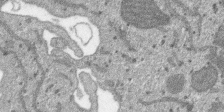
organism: Human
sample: Lung epithelial cells infected with SARS-CoV-2